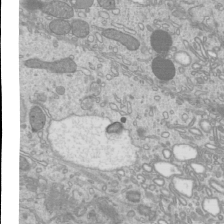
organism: Mouse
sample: Cilia; mouse epididymis